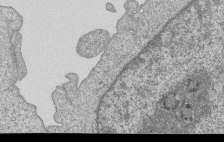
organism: Human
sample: MDA-MB-231 cells